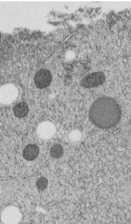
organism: C. elegans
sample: C. elegans embryo early stage